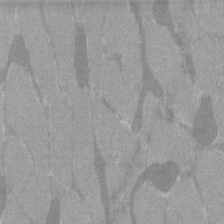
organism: C57BL Mouse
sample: Tibialis anterior muscle cell